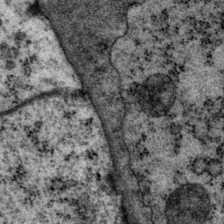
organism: P. pacificus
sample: Pharynx